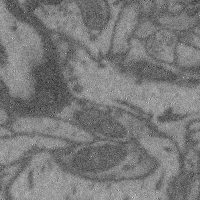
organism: Mouse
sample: Cerebral cortex